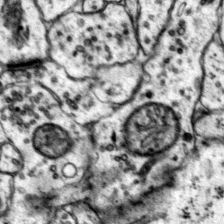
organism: Mouse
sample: Primary visual cortex